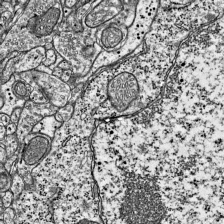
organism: Mouse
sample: Visual Cortex